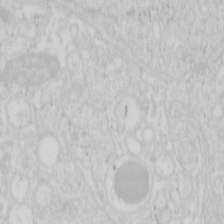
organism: Mouse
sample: Pancreas